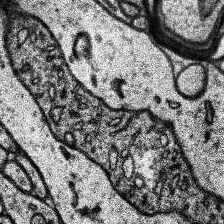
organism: Human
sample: Temporal Lobe